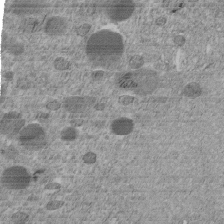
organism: C. elegans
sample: C. elegans embryo early stage